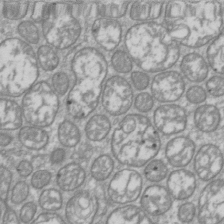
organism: Drosophila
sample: Cell division; meiosis; drosophila spermatocytes